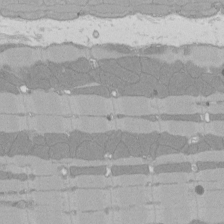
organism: Rat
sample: Left ventricle